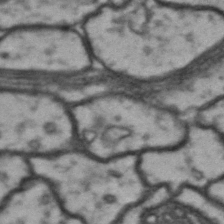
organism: Drosophila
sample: Brain